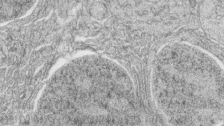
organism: Zebrafish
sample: synaptic ribbons in rod cells and cone cells